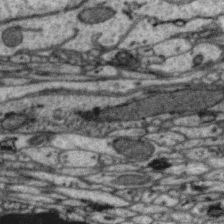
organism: Zebra finch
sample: Brain